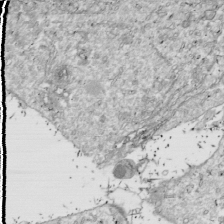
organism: Drosophila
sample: Cell division; meiosis; drosophila spermatocytes